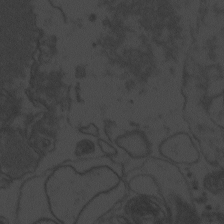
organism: Zebrafish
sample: Macrophage infected with Toxoplasma gondii